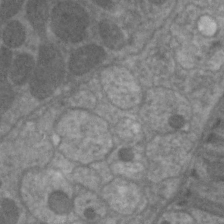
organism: C. elegans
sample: Pharynx